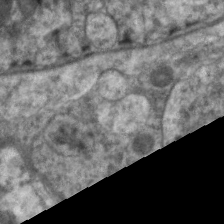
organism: C. elegans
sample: Pharynx